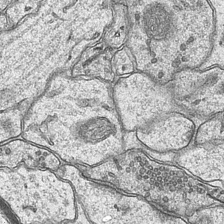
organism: Mouse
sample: CA1 Hippocampus